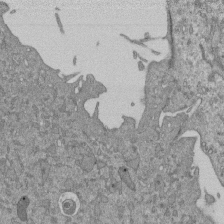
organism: Mouse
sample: ED-1 cell nuclei; centrioles